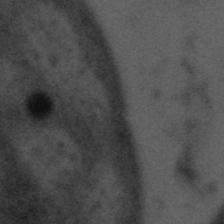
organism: Tuwongella immobilis